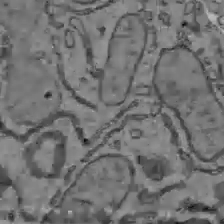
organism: C57BL Mouse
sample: Liver